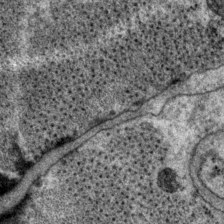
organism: P. pacificus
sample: Pharynx